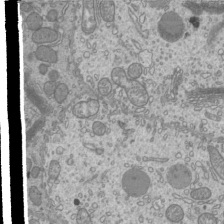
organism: Mouse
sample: Cilia; mouse epididymis